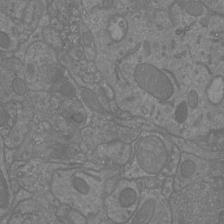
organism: Mouse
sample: Cortical neurons